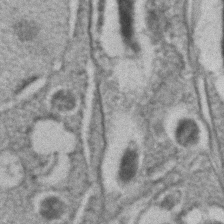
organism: C. elegans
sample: C. elegans embryo